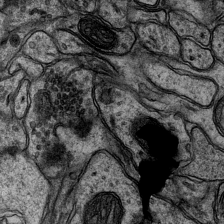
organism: Mouse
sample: CA1 Hippocampus